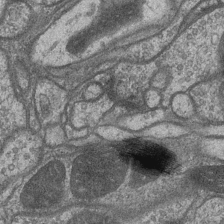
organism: Drosophila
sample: Optic medulla